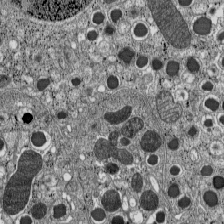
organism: C57BL Mouse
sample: Pancreatic islet